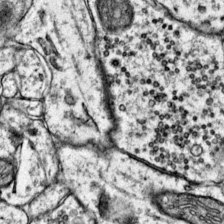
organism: Mouse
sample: Primary visual cortex